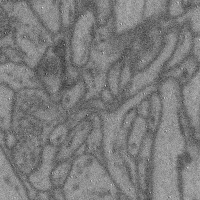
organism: Mouse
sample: Cerebral cortex